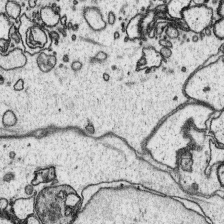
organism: Platynereis dumerilii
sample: Parapodia